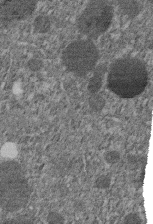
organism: C. elegans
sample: C. elegans embryo early stage